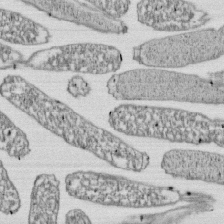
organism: E. coli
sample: Bacterial nucleoid